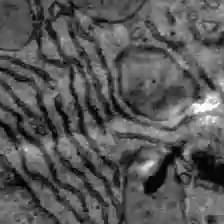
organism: C57BL Mouse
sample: Liver